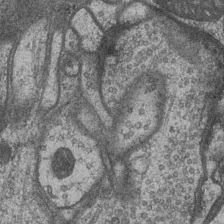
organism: Drosophila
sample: Optic medulla